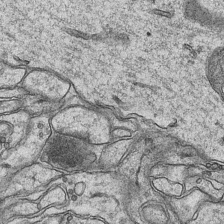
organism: Mouse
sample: CA1 Hippocampus